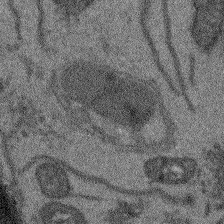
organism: Arabidopsis thaliana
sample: Root tip